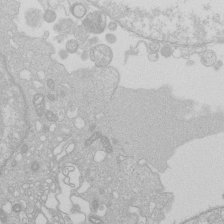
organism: Human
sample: Macrophage cells